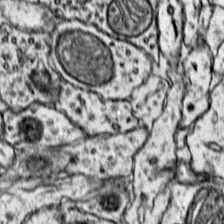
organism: Mouse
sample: Primary visual cortex